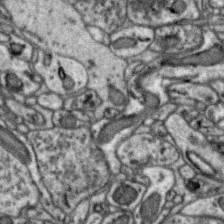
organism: Zebra finch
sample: Brain